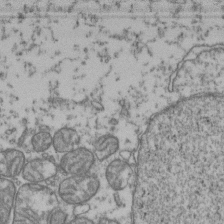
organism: Human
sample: Activated Jurkat CD4+ T cells